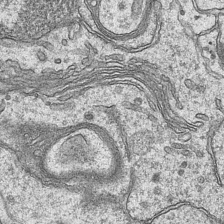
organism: Mouse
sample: CA1 Hippocampus